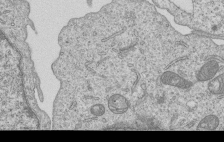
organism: Human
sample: MDA-MB-231 cells